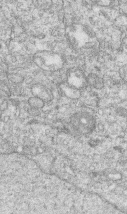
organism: Human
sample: HeLa cell HIV synapse